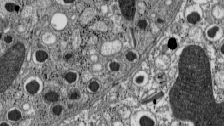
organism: C57BL Mouse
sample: Pancreatic islet